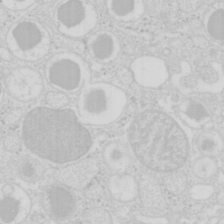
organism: Mouse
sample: Pancreas